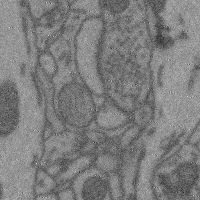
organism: Mouse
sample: Cerebral cortex